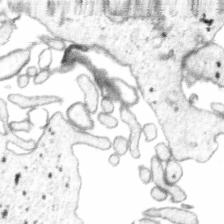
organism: Human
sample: HeLa cells